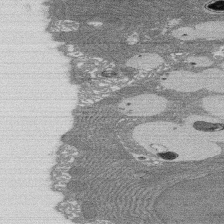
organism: Rat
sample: Salivary granule